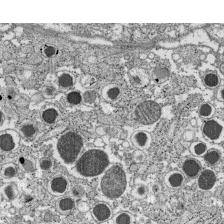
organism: C57BL Mouse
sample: Pancreatic islet